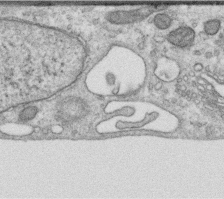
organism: Human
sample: Centriole in RPE cells